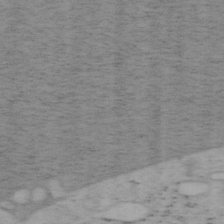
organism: Mouse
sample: OT-I killer T cells with ID8 ovarian cancer cells